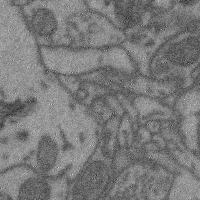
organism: Mouse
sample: Cerebral cortex